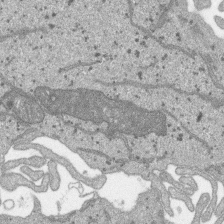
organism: Human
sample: Lung epithelial cells infected with SARS-CoV-2